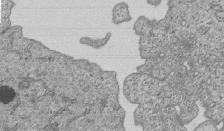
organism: Human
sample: MDA-MB-231 cells